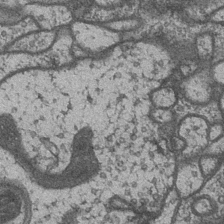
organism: Drosophila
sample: Optic medulla